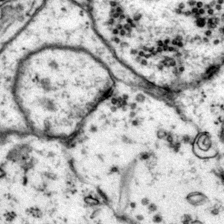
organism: Mouse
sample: Primary visual cortex